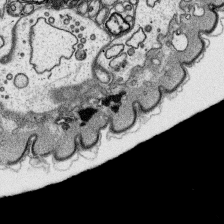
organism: Platynereis dumerilii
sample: Parapodia